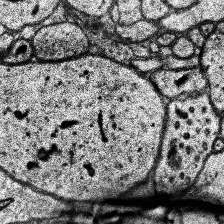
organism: Human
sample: Temporal Lobe